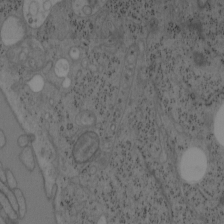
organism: Mouse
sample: OT-I killer T cells with ID8 ovarian cancer cells